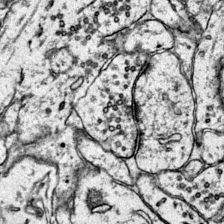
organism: Mouse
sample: Primary visual cortex